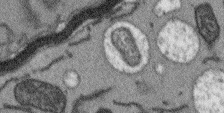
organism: Arabidopsis thaliana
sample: Root tip